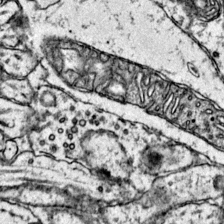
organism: Mouse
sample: Primary visual cortex